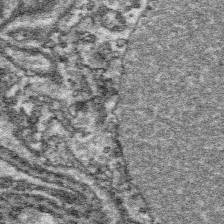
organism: Platynereis dumerilii